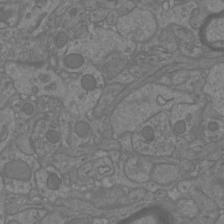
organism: Mouse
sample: Cortical neurons